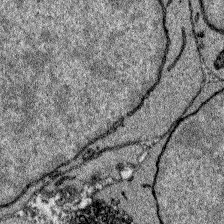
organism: Zebrafish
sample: Larval olfactory bulb